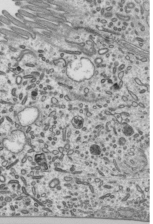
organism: Mouse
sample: Mouse epididymis efferent ductule cilia